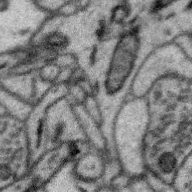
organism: Zebra finch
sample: Brain